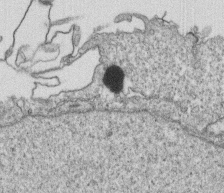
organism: Human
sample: HeLa cell HIV synapse